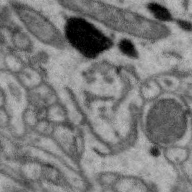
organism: Zebra finch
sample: Brain